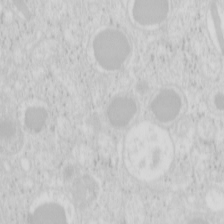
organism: Mouse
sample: Pancreas